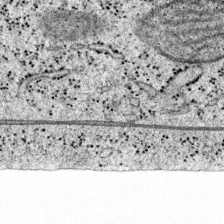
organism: Human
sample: HeLa cells